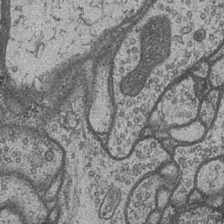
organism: Drosophila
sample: Optic medulla